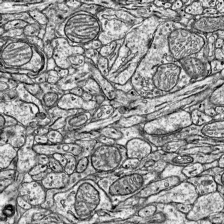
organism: Mouse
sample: Visual Cortex